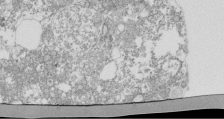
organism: Mouse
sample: Activated Pmel transgenic CD8+ T Cells